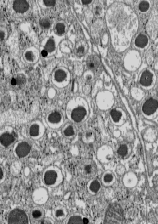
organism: C57BL Mouse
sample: Pancreatic islet